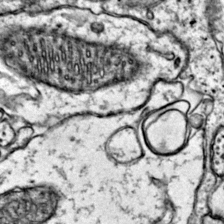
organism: Mouse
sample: Primary visual cortex